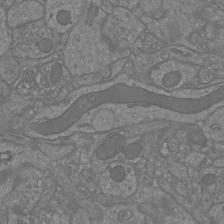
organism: Mouse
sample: Cortical neurons